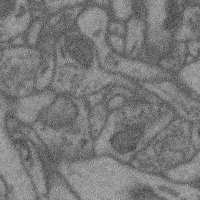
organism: Mouse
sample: Cerebral cortex